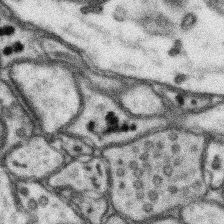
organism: Mouse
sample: Somatosensory cortex neuropil